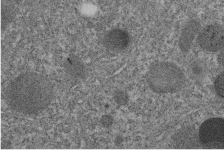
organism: C. elegans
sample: C. elegans embryo early stage